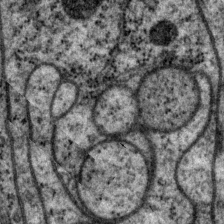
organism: P. pacificus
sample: Pharynx